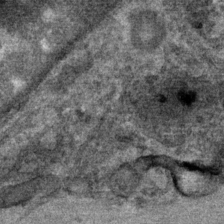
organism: Mouse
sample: Mouse Salivary gland